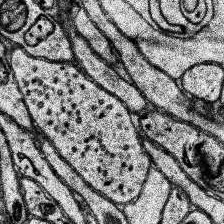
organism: Human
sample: Temporal Lobe